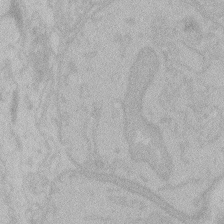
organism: Zebrafish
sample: Macrophage infected with Toxoplasma gondii